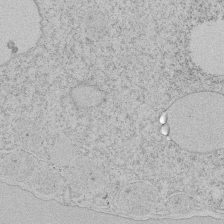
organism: Tetrahymena